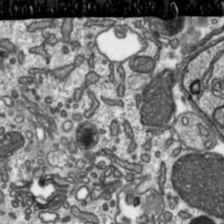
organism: Toxoplasma gondii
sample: Parasites in a vacuole inside a host cell